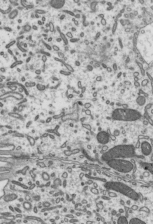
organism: Mouse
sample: Mouse epididymis efferent ductule cilia